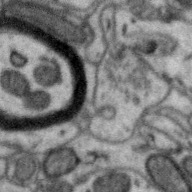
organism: Zebra finch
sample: Brain